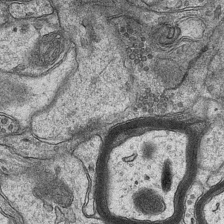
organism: Mouse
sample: CA1 Hippocampus